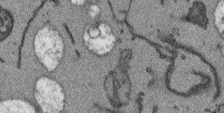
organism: Arabidopsis thaliana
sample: Root tip